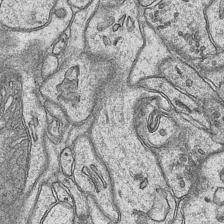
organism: Mouse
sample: CA1 Hippocampus